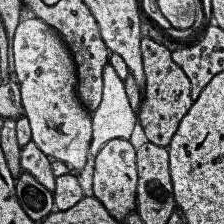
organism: Human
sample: Temporal Lobe